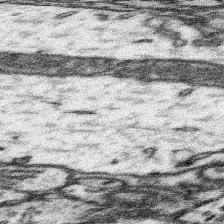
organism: Mouse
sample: Somatosensory cortex neuropil